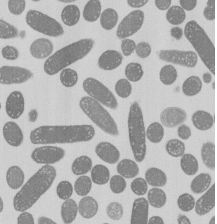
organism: E. coli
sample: Bacterial nucleoid